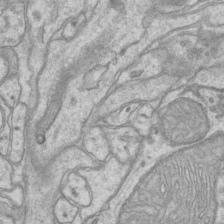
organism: Mouse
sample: CA1 Hippocampus